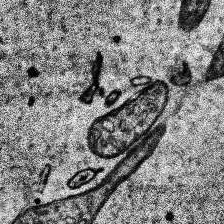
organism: Human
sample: Temporal Lobe